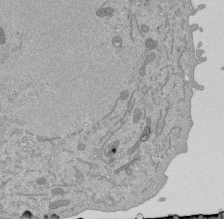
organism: Mouse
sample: ED-1 cell nuclei; centrioles